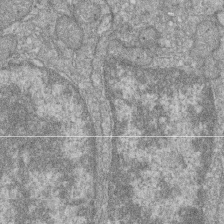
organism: Zebrafish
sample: Cilia; retinal pigment epithelium